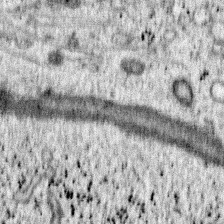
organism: Human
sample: HeLa cells